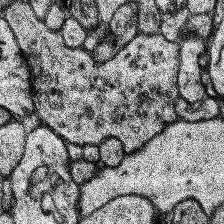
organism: Human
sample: Temporal Lobe